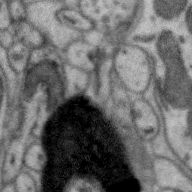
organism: Zebra finch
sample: Brain